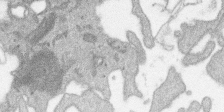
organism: Human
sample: Lung epithelial cells infected with SARS-CoV-2